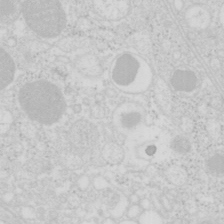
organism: Mouse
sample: Pancreas